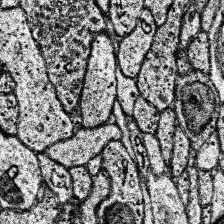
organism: Human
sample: Temporal Lobe